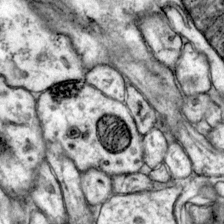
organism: Mouse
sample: Primary visual cortex